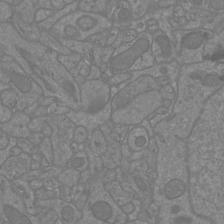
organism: Mouse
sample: Cortical neurons